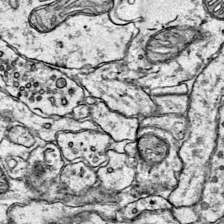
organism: Mouse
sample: Primary visual cortex